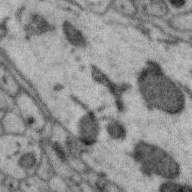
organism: Zebra finch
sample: Brain